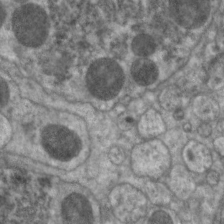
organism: C. elegans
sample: Pharynx